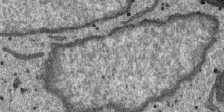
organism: Human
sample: Lung epithelial cells, uninfected (mock) control